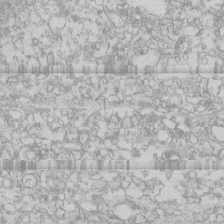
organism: Human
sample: CRL-1474